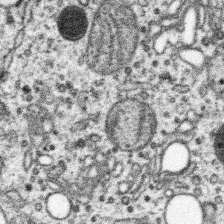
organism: Human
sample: HeLa cells